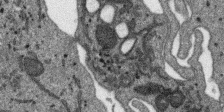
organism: Human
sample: Lung epithelial cells infected with SARS-CoV-2